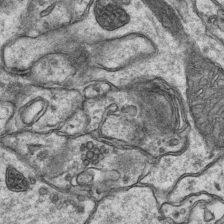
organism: Mouse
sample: CA1 Hippocampus